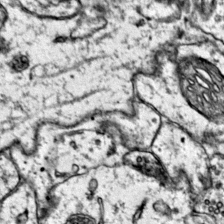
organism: Mouse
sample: Primary visual cortex